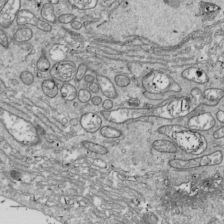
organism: Drosophila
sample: Cell division; meiosis; drosophila spermatocytes